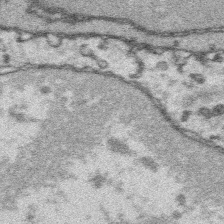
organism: Platynereis dumerilii